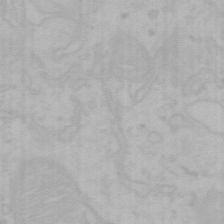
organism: Mouse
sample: Choroid plexus